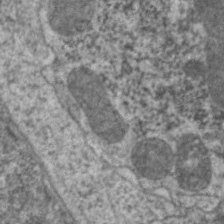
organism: C. elegans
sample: Pharynx